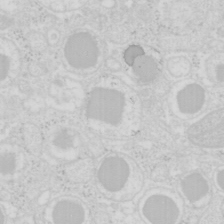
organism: Mouse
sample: Pancreas